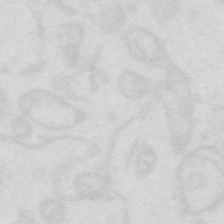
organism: Human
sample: HeLa cells